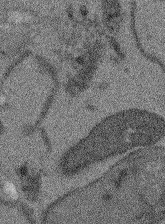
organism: Arabidopsis thaliana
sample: Root tip